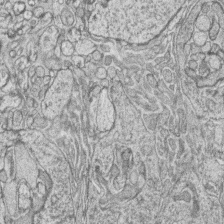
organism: Zebrafish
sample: synaptic ribbons in rod cells and cone cells